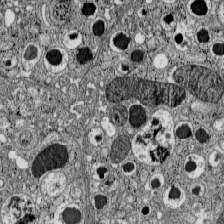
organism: C57BL Mouse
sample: Pancreatic islet